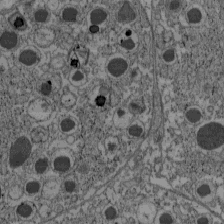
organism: C57BL Mouse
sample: Pancreatic islet